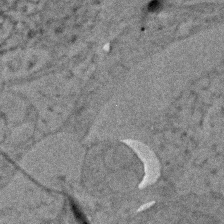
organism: Zebrafish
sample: Zebrafish embryo